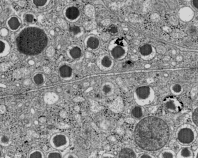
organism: C57BL Mouse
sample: Pancreatic islet